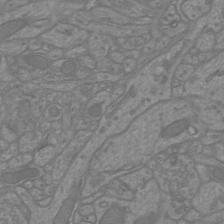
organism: Mouse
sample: Cortical neurons